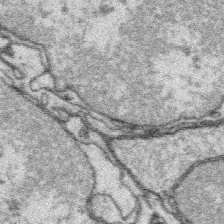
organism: Platynereis dumerilii